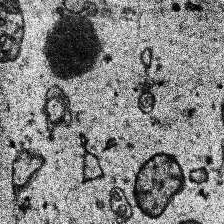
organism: Human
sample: Temporal Lobe